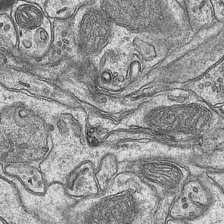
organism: Mouse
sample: CA1 Hippocampus